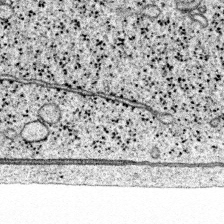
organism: Human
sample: HeLa cells